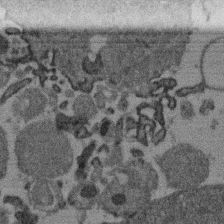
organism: Mouse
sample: Dividing mouse embryo 1 cell stage